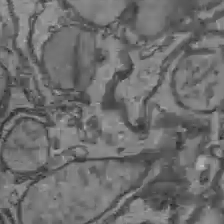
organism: C57BL Mouse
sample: Liver